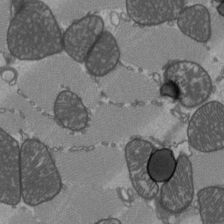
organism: C57BL Mouse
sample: Heart